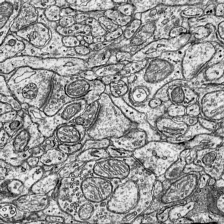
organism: Mouse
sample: Visual Cortex